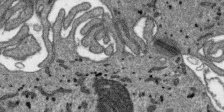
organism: Human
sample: Lung epithelial cells, uninfected (mock) control